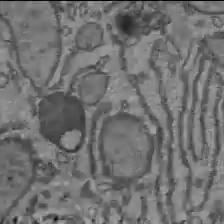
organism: C57BL Mouse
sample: Liver